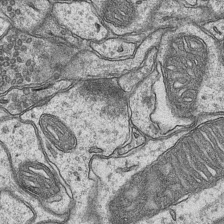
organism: Mouse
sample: CA1 Hippocampus